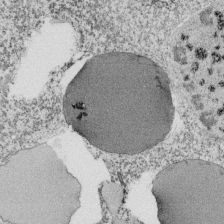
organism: Tetrahymena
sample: Cilia in tetrahymena